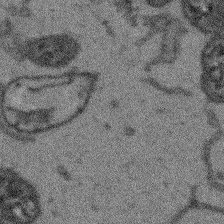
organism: Arabidopsis thaliana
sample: Root tip